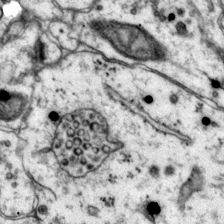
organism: Mouse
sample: Primary visual cortex